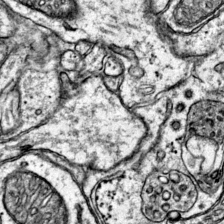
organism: Mouse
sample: Primary visual cortex